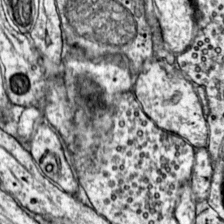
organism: Mouse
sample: Primary visual cortex